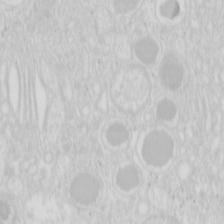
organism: Mouse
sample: Pancreas